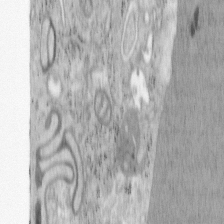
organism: Human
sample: HeLa cells